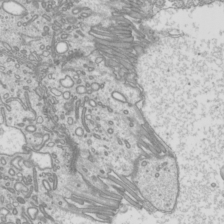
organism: Mouse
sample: Cilia; mouse epididymis